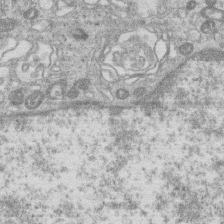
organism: Human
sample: Macrophage cells